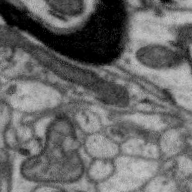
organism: Zebra finch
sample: Brain